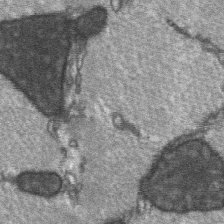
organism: C57BL Mouse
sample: Soleus